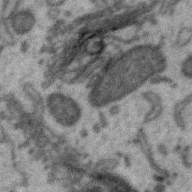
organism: Zebra finch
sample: Brain